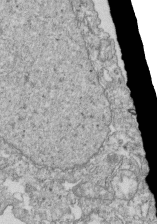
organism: Human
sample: HeLa cell HIV synapse